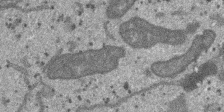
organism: Human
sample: Lung epithelial cells infected with SARS-CoV-2